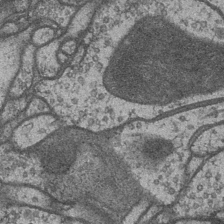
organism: Drosophila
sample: Optic medulla